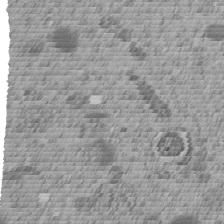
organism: C. elegans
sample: C. elegans embryo early stage